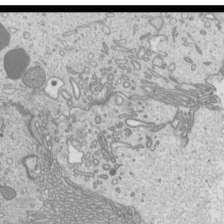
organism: Mouse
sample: Cilia; mouse epididymis